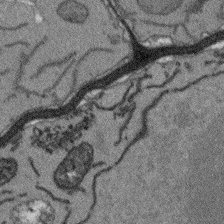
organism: Arabidopsis thaliana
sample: Root tip